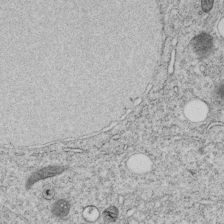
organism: C. elegans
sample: C. elegans embryo early stage